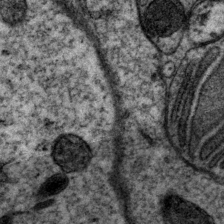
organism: P. pacificus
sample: Pharynx